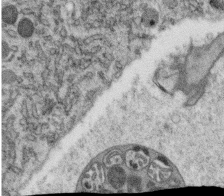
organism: C. elegans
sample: C. elegans oocyte; sperm cells